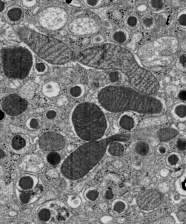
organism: C57BL Mouse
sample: Pancreatic islet